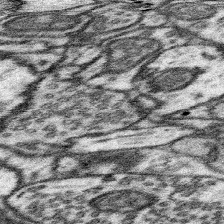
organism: Mouse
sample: Somatosensory cortex neuropil